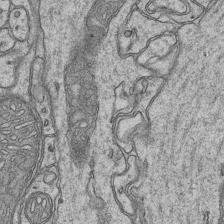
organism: Mouse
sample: CA1 Hippocampus